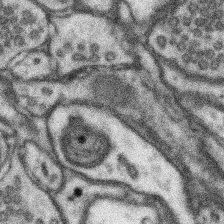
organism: Mouse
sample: Somatosensory cortex neuropil